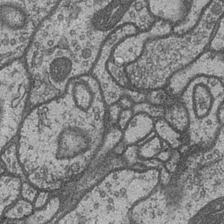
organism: Drosophila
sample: Optic medulla